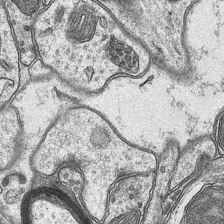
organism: Mouse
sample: CA1 Hippocampus